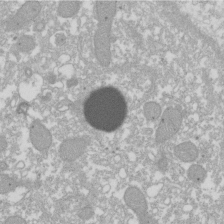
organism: Xenopus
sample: Cilia; centrioles in frog embryo cells